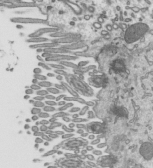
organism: Mouse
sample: Mouse epididymis efferent ductule cilia